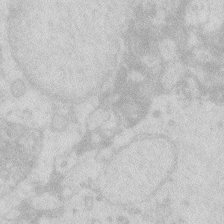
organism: Zebrafish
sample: Macrophage